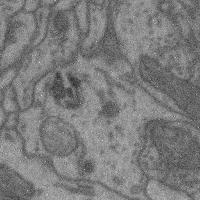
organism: Mouse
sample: Cerebral cortex